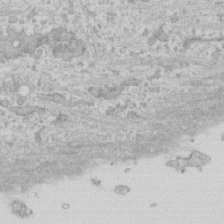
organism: Human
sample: CRL-1474